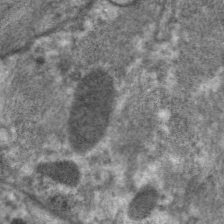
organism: C. elegans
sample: Pharynx